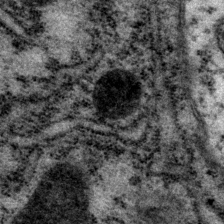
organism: P. pacificus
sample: Pharynx